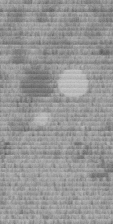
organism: C. elegans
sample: C. elegans embryo early stage